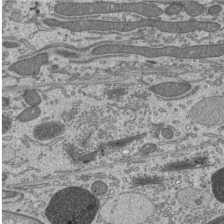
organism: Mouse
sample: Mouse epididymis efferent ductule cilia